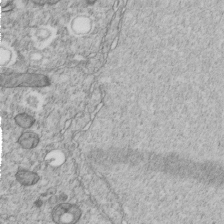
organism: C. elegans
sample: C. elegans embryo early stage